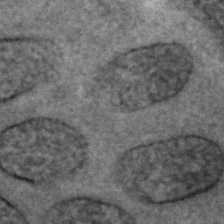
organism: C. elegans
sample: C. elegans embryo